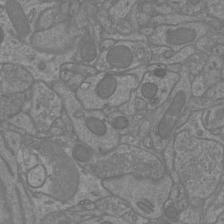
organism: Mouse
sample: Cortical neurons